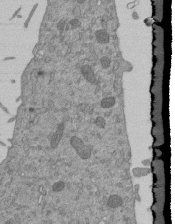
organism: Mouse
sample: ED-1 cell nuclei; centrioles